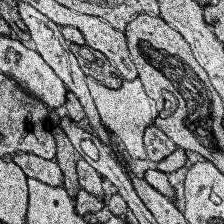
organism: Human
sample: Temporal Lobe